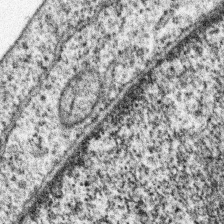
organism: Human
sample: HeLa cells